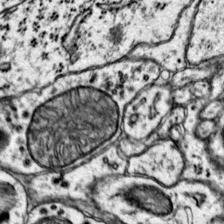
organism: Mouse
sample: Primary visual cortex